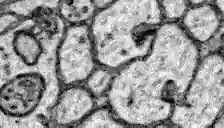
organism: Zebrafish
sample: Brain